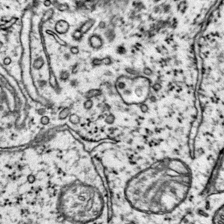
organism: Mouse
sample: Primary visual cortex